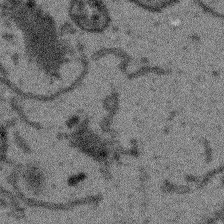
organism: Arabidopsis thaliana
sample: Root tip